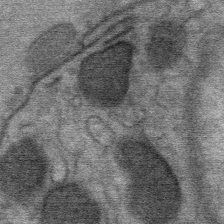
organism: Mouse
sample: Mouse Salivary gland